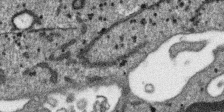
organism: Human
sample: Lung epithelial cells infected with SARS-CoV-2